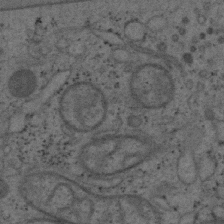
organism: Human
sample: HeLa cells